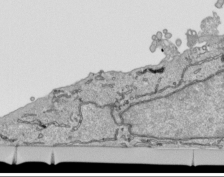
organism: Human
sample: Mitochondria in HCT116 cells